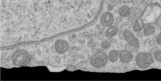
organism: Human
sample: Centriole in RPE cells